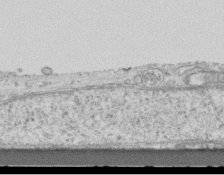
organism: Mouse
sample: Centriole in ependymal cells